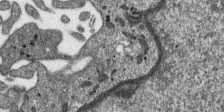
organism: Human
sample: Lung epithelial cells infected with SARS-CoV-2